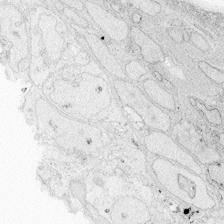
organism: Zebrafish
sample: Whole-Brain